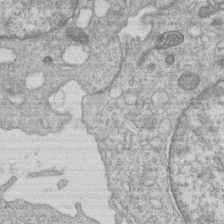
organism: Human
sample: Macrophage cells